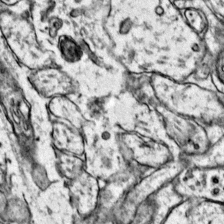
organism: Mouse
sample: Primary visual cortex